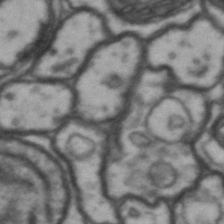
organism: Drosophila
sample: Brain